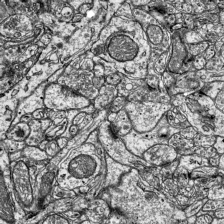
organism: Mouse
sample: Visual Cortex